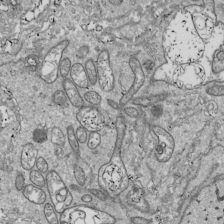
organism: Drosophila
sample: Cell division; meiosis; drosophila spermatocytes